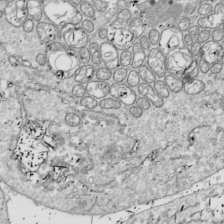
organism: Drosophila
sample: Cell division; meiosis; drosophila spermatocytes